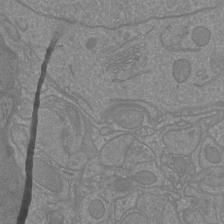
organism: Mouse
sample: Cortical neurons